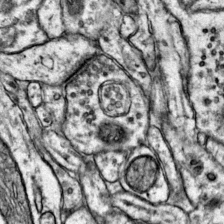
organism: Mouse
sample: Primary visual cortex